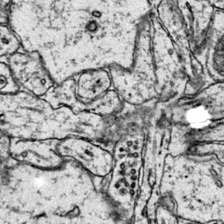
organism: Mouse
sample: Primary visual cortex